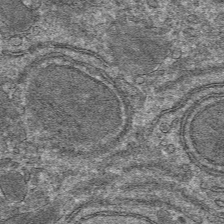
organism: Mouse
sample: Mouse hepatocytes